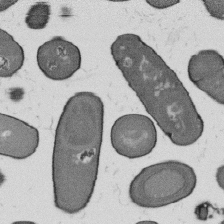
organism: B. subtilis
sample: Bacterial spore